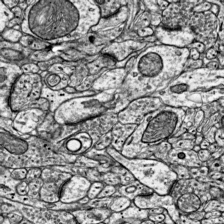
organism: Mouse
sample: Visual Cortex